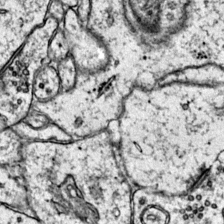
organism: Mouse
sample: Primary visual cortex